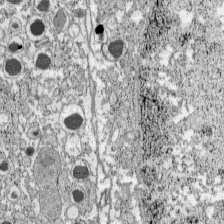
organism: C57BL Mouse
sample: Pancreatic islet